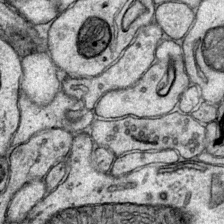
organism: Mouse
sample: Primary visual cortex